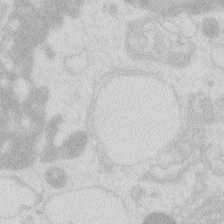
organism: Zebrafish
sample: Macrophage